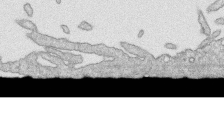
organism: Human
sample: HeLa cell HIV synapse